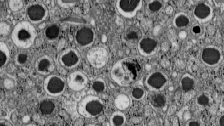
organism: C57BL Mouse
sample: Pancreatic islet